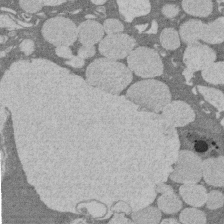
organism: Rat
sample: Salivary granule